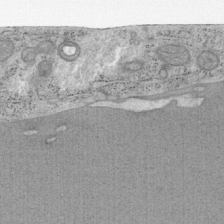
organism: Human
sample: HeLa cells